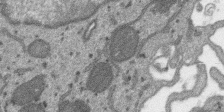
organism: Human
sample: Lung epithelial cells infected with SARS-CoV-2